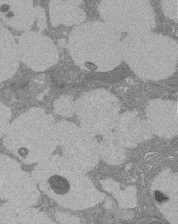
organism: Rat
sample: Salivary granule